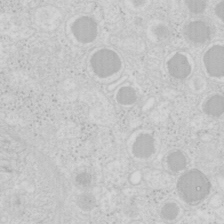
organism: Mouse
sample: Pancreas